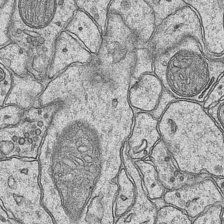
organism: Mouse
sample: CA1 Hippocampus